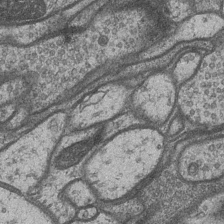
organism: Drosophila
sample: Optic medulla